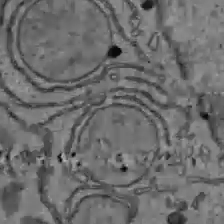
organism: C57BL Mouse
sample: Liver